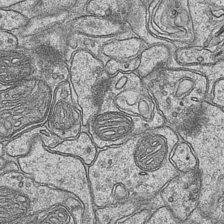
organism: Mouse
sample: CA1 Hippocampus